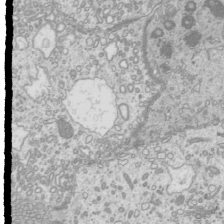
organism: Mouse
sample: Cilia; mouse epididymis